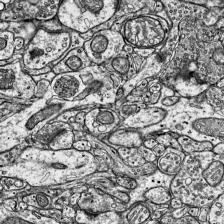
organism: Mouse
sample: Visual Cortex